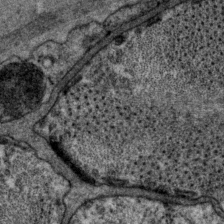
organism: P. pacificus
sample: Pharynx